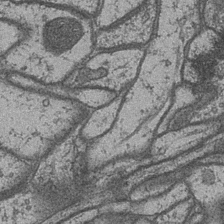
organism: Drosophila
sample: Optic medulla